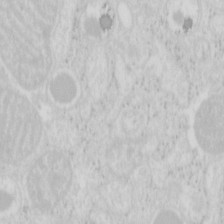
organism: Mouse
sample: Pancreas